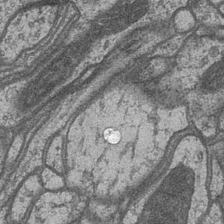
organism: Drosophila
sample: Optic medulla